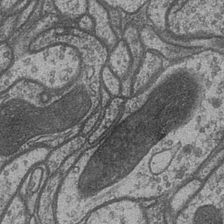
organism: Drosophila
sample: Optic medulla